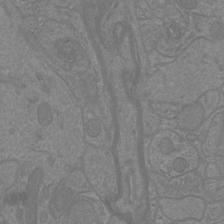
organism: Mouse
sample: Cortical neurons